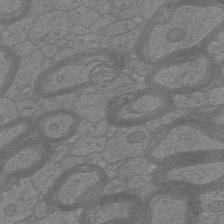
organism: Mouse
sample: Cortical neurons